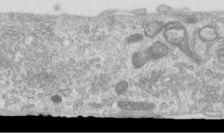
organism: Human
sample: Centriole in RPE cells